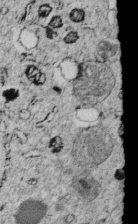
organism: C. elegans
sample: C. elegans embryo early stage